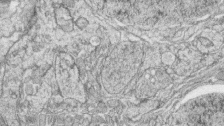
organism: Zebrafish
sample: synaptic ribbons in rod cells and cone cells